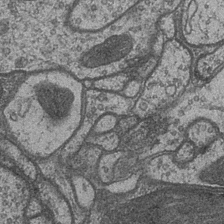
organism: Drosophila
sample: Optic medulla